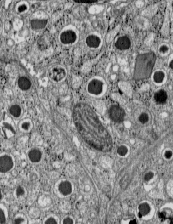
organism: C57BL Mouse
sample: Pancreatic islet